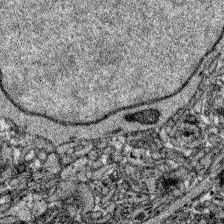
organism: Zebrafish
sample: Larval olfactory bulb